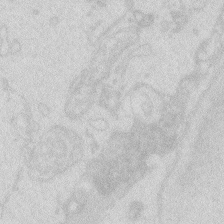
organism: Zebrafish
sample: Macrophage